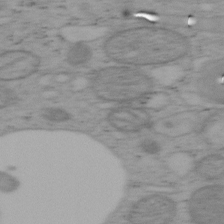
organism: Mouse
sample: OT-I killer T cells with ID8 ovarian cancer cells